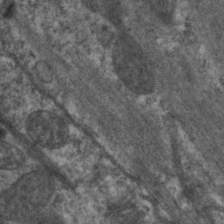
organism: C. elegans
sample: Pharynx